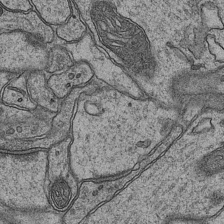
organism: Mouse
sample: CA1 Hippocampus